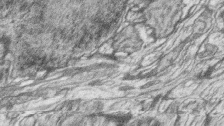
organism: Zebrafish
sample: synaptic ribbons in rod cells and cone cells